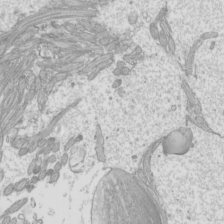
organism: Mouse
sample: Cilia; mouse epididymis